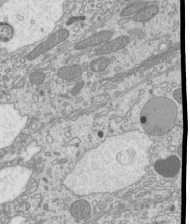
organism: Mouse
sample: Cilia; mouse epididymis